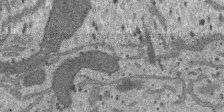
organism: Human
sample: Lung epithelial cells infected with SARS-CoV-2